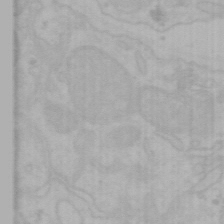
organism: Mouse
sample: Choroid plexus